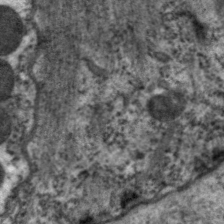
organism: C. elegans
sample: Pharynx